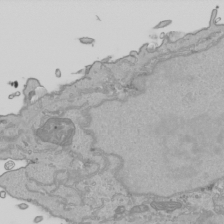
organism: Human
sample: Mitochondria in HCT116 cells